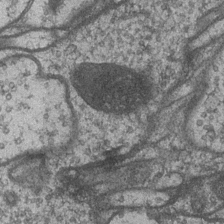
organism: Drosophila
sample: Optic medulla